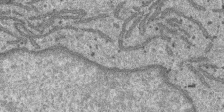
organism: Human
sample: Lung epithelial cells infected with SARS-CoV-2